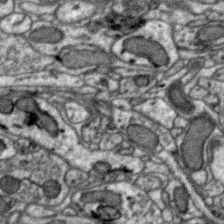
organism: Zebra finch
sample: Brain